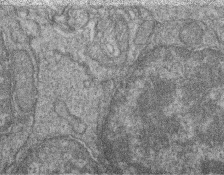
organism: Zebrafish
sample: Cilia; retinal pigment epithelium